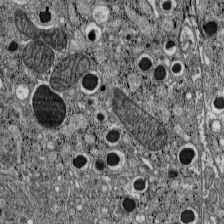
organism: C57BL Mouse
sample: Pancreatic islet